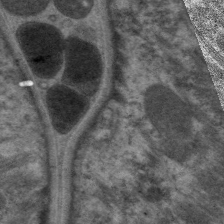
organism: C. elegans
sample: Pharynx